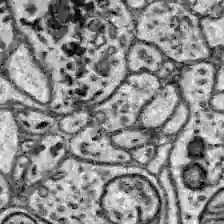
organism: Zebrafish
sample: Brain